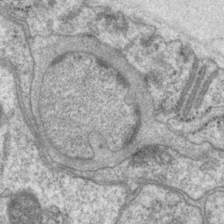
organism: P. pacificus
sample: Pharynx